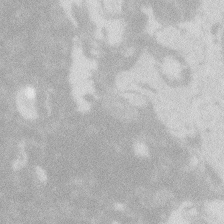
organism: Zebrafish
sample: Macrophage